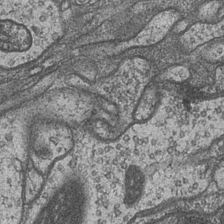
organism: Drosophila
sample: Optic medulla